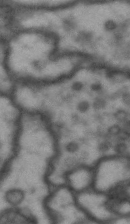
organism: Drosophila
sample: Brain